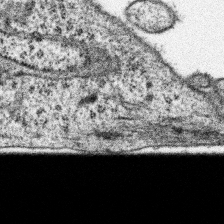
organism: Human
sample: HeLa cells